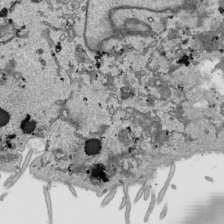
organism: Human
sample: Mitochondria in HCT116 cells